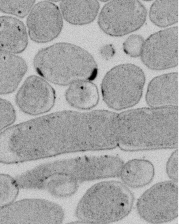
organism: E. coli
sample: Bacterial nucleoid